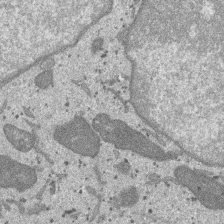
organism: Human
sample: Lung epithelial cells infected with SARS-CoV-2